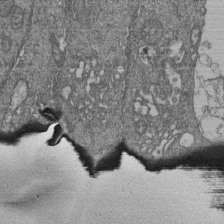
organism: Human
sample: Retinal organoid Rod and Cone cells